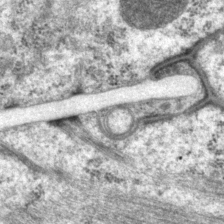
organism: P. pacificus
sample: Pharynx